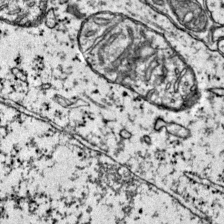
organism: Mouse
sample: Primary visual cortex